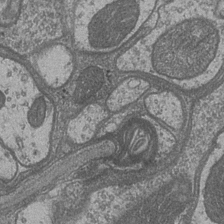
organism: Drosophila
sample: Optic medulla